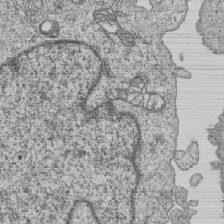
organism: Human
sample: MDA-MB-231 cells